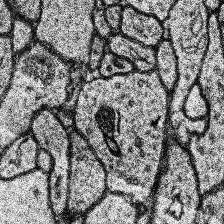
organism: Human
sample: Temporal Lobe